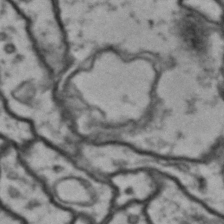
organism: Drosophila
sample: Brain